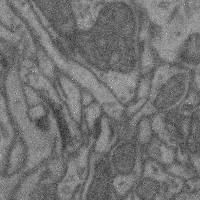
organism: Mouse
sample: Cerebral cortex